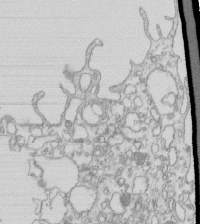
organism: Mouse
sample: Macrophages